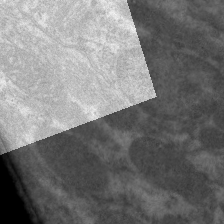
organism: C. elegans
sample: Pharynx